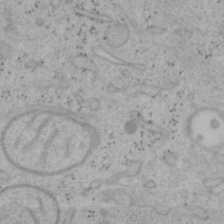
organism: Human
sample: HeLa cells